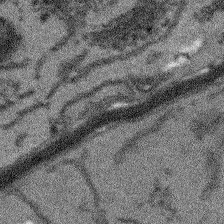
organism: Arabidopsis thaliana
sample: Root tip